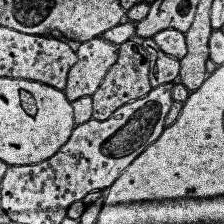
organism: Human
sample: Temporal Lobe